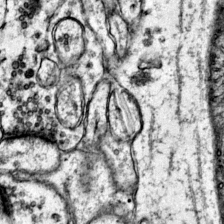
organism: Mouse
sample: Primary visual cortex